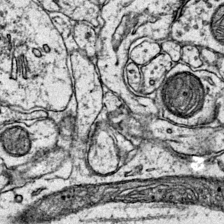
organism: Mouse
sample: Primary visual cortex